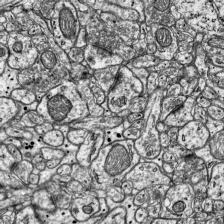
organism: Mouse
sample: Visual Cortex